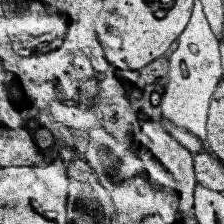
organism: Human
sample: Temporal Lobe